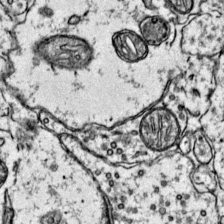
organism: Mouse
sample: Primary visual cortex